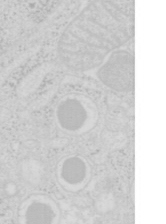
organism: Mouse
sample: Pancreas